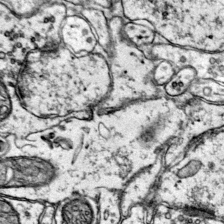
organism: Mouse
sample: Primary visual cortex